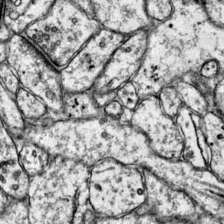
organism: Mouse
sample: Primary visual cortex